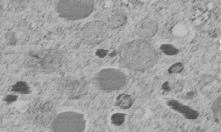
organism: C. elegans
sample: C. elegans embryo early stage